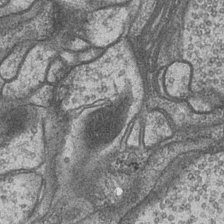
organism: Drosophila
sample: Optic medulla